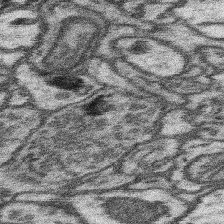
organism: Mouse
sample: Somatosensory cortex neuropil